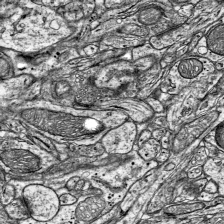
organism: Mouse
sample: Visual Cortex